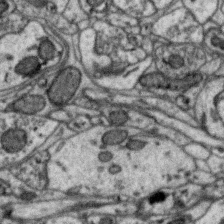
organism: Zebra finch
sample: Brain